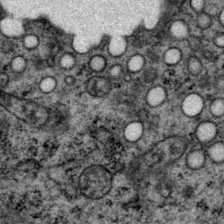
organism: P. pacificus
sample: Pharynx